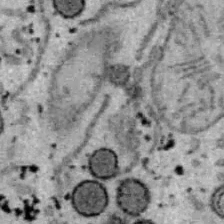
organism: Mouse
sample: Liver from an obese (ob/ob) mouse